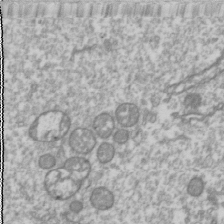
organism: Drosophila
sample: Cell division; meiosis; drosophila spermatocytes